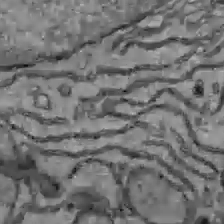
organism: C57BL Mouse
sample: Liver